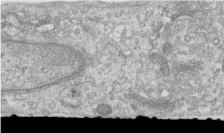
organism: Human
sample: Centriole in RPE cells